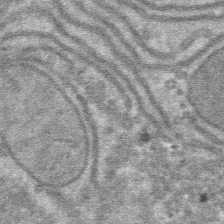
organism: Mouse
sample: Mouse hepatocytes